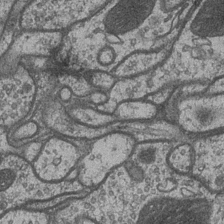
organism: Drosophila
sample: Optic medulla